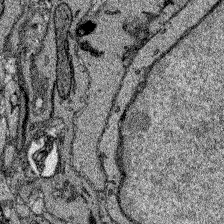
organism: Zebrafish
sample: Larval olfactory bulb